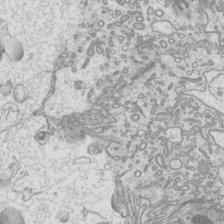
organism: Mouse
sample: Cilia; mouse epididymis